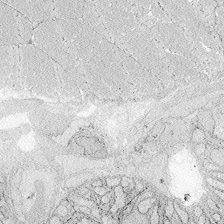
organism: Zebrafish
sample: Whole-Brain